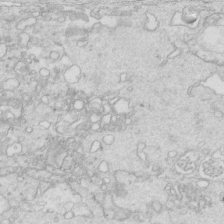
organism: Mouse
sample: Multiciliated cells